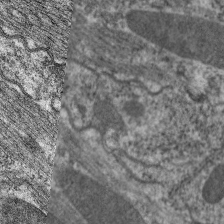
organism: C. elegans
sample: Pharynx